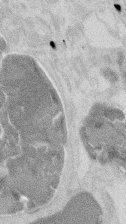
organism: Mouse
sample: T cell stromal cell synapse